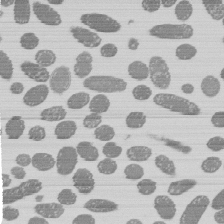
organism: E. coli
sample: Bacterial nucleoid